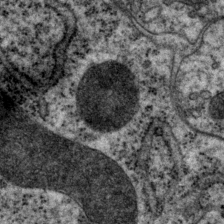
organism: P. pacificus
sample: Pharynx